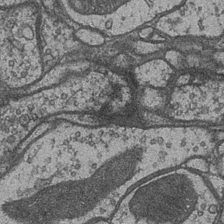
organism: Drosophila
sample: Optic medulla